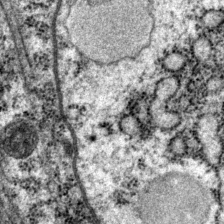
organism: P. pacificus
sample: Pharynx